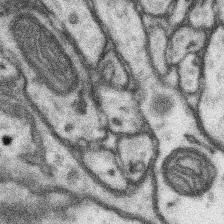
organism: Mouse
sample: Somatosensory cortex neuropil